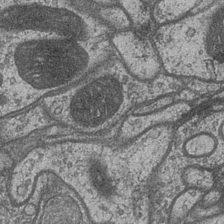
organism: Drosophila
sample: Optic medulla